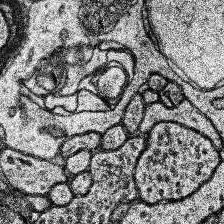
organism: Human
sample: Temporal Lobe